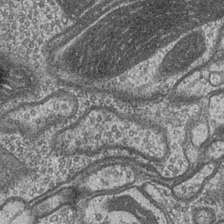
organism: Drosophila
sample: Optic medulla